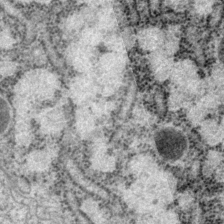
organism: P. pacificus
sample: Pharynx